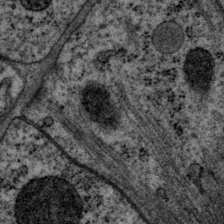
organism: P. pacificus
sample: Pharynx